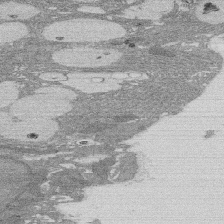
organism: Rat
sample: Salivary granule